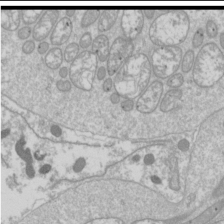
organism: Drosophila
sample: Cell division; meiosis; drosophila spermatocytes